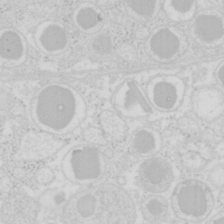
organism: Mouse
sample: Pancreas